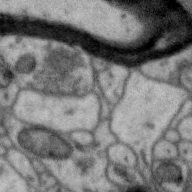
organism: Zebra finch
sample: Brain